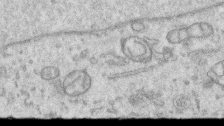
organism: Human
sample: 1205lu cells